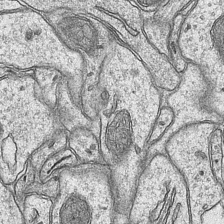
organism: Mouse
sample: CA1 Hippocampus